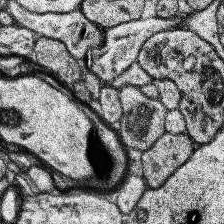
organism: Human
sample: Temporal Lobe